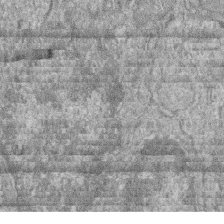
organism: Zebrafish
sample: Cilia; retinal pigment epithelium